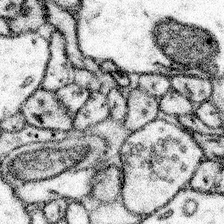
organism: Mouse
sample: Somatosensory cortex neuropil